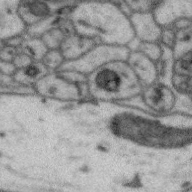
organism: Zebra finch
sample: Brain